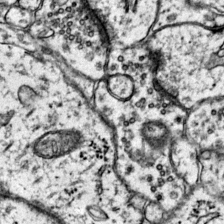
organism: Mouse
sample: Primary visual cortex